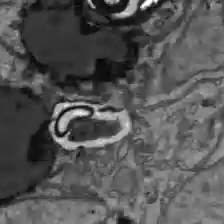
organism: C57BL Mouse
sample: Liver